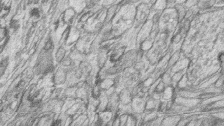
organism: Zebrafish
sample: synaptic ribbons in rod cells and cone cells